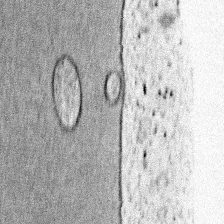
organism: Human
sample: HeLa cells